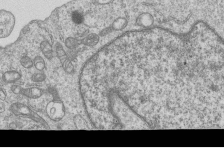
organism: Human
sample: MDA-MB-231 cells